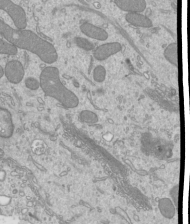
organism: Mouse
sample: Cilia; mouse epididymis